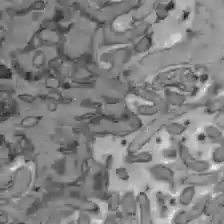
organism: C57BL Mouse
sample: Liver